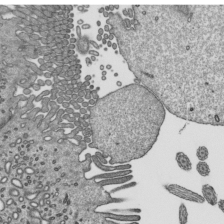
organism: Mouse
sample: Mouse epididymis efferent ductule cilia